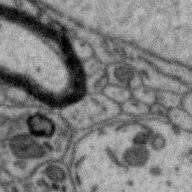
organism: Zebra finch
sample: Brain